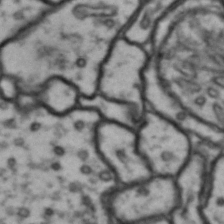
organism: Drosophila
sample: Brain